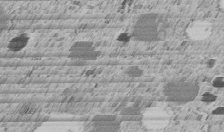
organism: C. elegans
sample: C. elegans embryo early stage